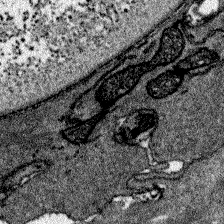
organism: Zebrafish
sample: Larval olfactory bulb